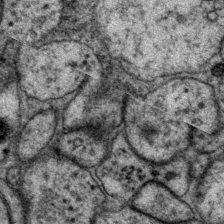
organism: P. pacificus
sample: Pharynx